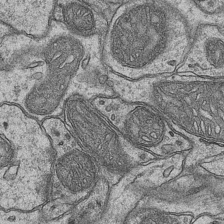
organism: Mouse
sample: CA1 Hippocampus